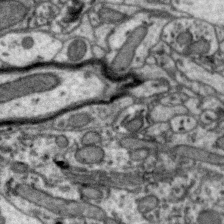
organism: Zebra finch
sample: Brain